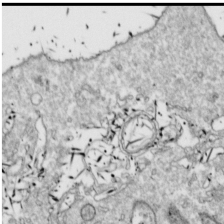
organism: Drosophila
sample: Cell division; meiosis; drosophila spermatocytes